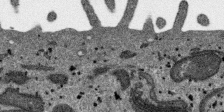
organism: Human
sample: Lung epithelial cells, uninfected (mock) control